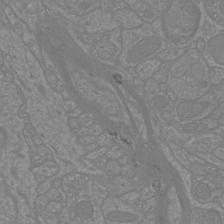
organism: Mouse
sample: Cortical neurons